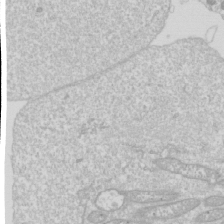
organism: Drosophila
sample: Cell division; meiosis; drosophila spermatocytes